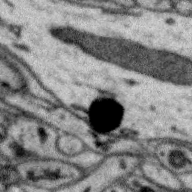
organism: Zebra finch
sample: Brain